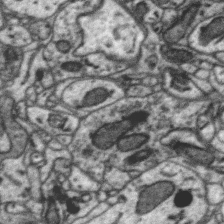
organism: Zebra finch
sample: Brain